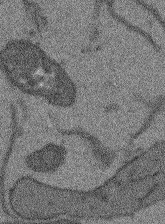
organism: Arabidopsis thaliana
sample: Root tip